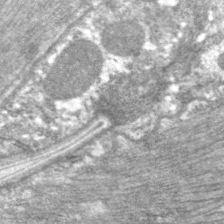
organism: C. elegans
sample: Pharynx